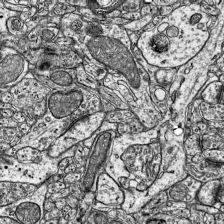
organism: Mouse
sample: Visual Cortex